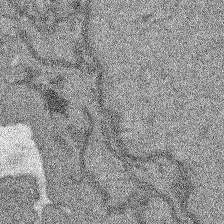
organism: Human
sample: HeLa cells